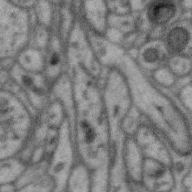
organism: Zebra finch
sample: Brain